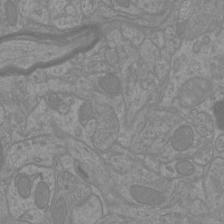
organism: Mouse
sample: Cortical neurons